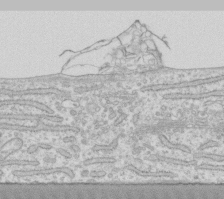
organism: Human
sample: Fibroblast cells